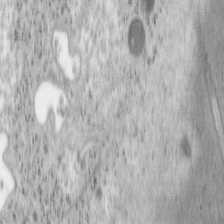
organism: Human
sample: HeLa cells